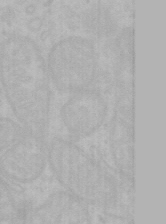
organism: Mouse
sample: Choroid plexus